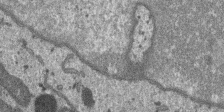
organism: Human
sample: Lung epithelial cells infected with SARS-CoV-2